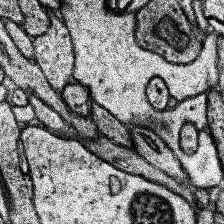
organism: Human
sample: Temporal Lobe